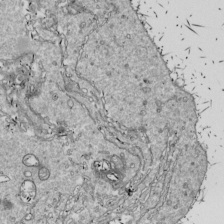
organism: Drosophila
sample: Cell division; meiosis; drosophila spermatocytes